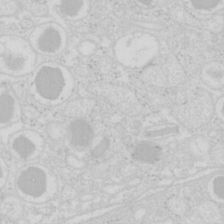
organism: Mouse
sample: Pancreas